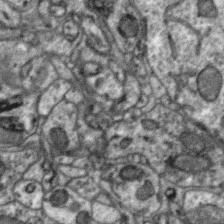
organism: Zebra finch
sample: Brain